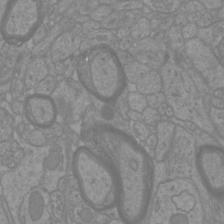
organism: Mouse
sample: Cortical neurons